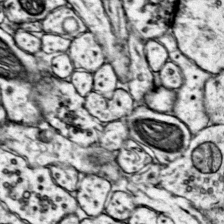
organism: Mouse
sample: Primary visual cortex